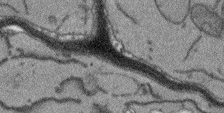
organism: Arabidopsis thaliana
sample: Root tip